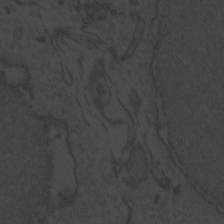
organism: Zebrafish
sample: Macrophage infected with Toxoplasma gondii